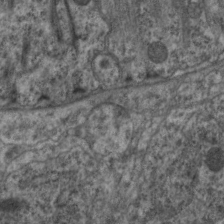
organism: C. elegans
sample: Pharynx